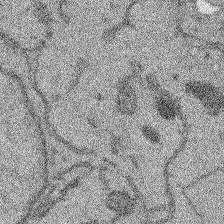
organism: Human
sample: HeLa cells